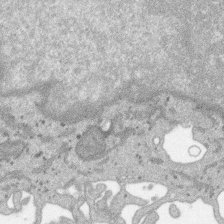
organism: Human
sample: Lung epithelial cells infected with SARS-CoV-2